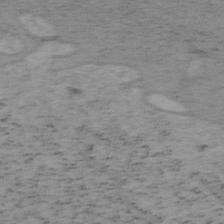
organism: Mouse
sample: OT-I killer T cells with ID8 ovarian cancer cells